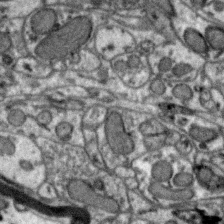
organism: Zebra finch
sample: Brain